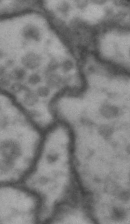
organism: Drosophila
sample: Brain